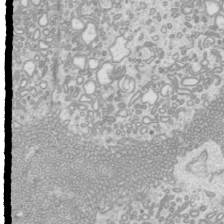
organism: Mouse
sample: Cilia; mouse epididymis